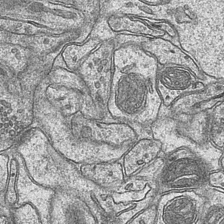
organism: Mouse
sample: CA1 Hippocampus